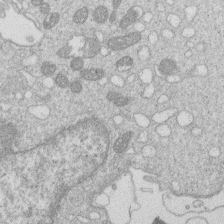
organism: Human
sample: Macrophage cells